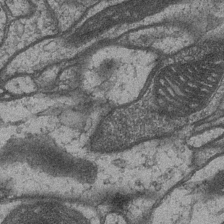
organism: Drosophila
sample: Optic medulla